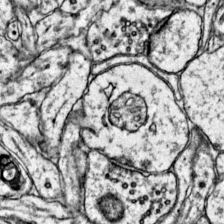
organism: Mouse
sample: Primary visual cortex